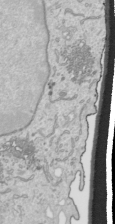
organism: Human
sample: Mitochondria in HCT116 cells